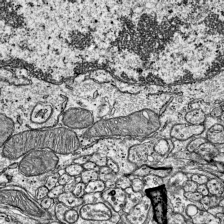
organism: Mouse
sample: Visual Cortex